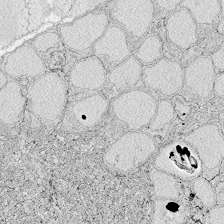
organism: Zebrafish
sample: Whole-Brain